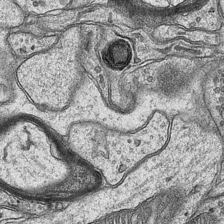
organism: Mouse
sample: CA1 Hippocampus